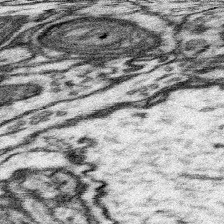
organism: Mouse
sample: Somatosensory cortex neuropil